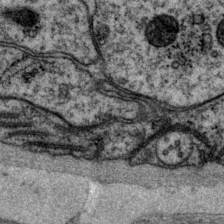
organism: P. pacificus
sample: Pharynx